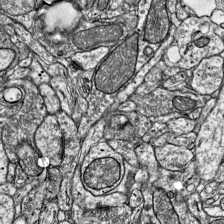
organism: Mouse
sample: Visual Cortex